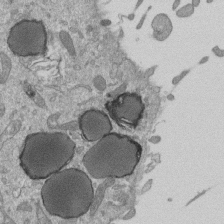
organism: Mouse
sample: ED-1 cell nuclei; centrioles